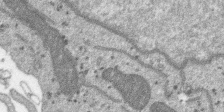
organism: Human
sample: Lung epithelial cells infected with SARS-CoV-2